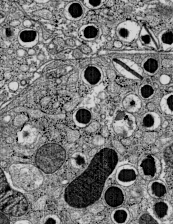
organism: C57BL Mouse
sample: Pancreatic islet